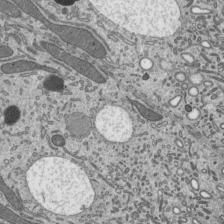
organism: Mouse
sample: Mouse epididymis efferent ductule cilia